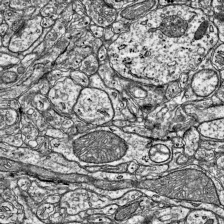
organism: Mouse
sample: Visual Cortex